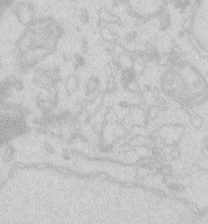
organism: Zebrafish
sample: Macrophage